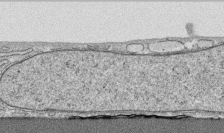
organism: Human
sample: CRL-1474